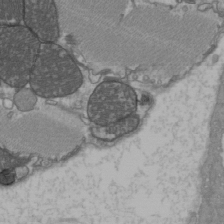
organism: C57BL Mouse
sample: Heart